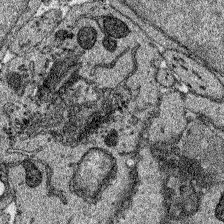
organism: Zebrafish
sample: Larval olfactory bulb